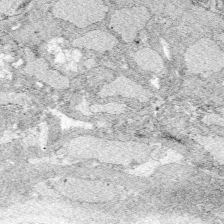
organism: Zebrafish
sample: Whole-Brain